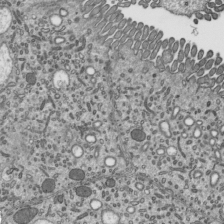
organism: Mouse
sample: Mouse epididymis efferent ductule cilia